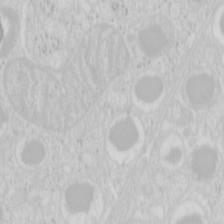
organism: Mouse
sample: Pancreas